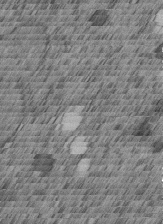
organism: C. elegans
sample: C. elegans embryo early stage